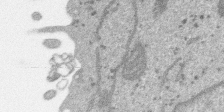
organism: Human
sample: Lung epithelial cells infected with SARS-CoV-2